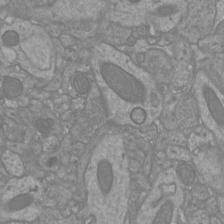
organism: Mouse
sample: Cortical neurons